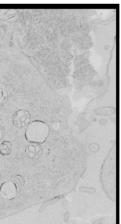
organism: Human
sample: Mitochondria in HCT116 cells